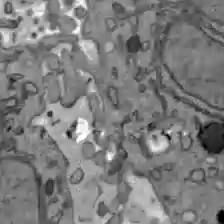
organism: C57BL Mouse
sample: Liver